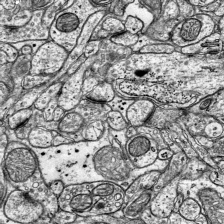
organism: Mouse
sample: Visual Cortex